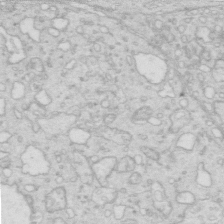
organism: Mouse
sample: Multiciliated cells